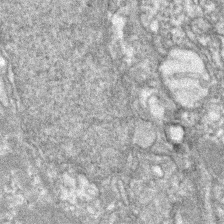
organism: Zebrafish